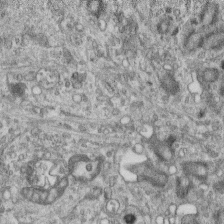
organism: Mouse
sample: Centriole in ependymal cells